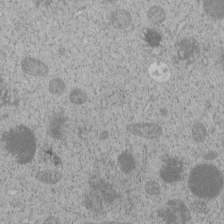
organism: C. elegans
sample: C. elegans embryo early stage